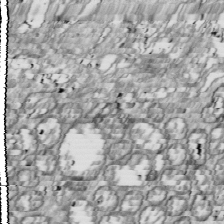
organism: Drosophila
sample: Cell division; meiosis; drosophila spermatocytes